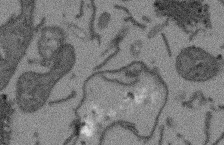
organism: Arabidopsis thaliana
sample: Root tip